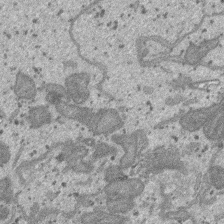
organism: Human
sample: Lung epithelial cells infected with SARS-CoV-2